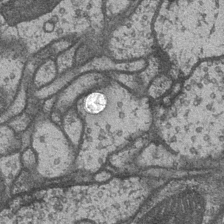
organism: Drosophila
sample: Optic medulla